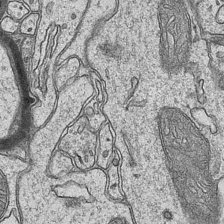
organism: Mouse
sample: CA1 Hippocampus